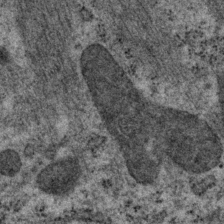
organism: P. pacificus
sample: Pharynx